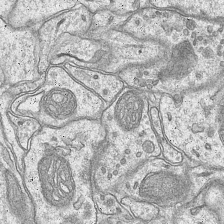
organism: Mouse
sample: CA1 Hippocampus